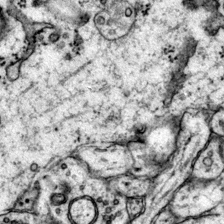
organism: Mouse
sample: Primary visual cortex